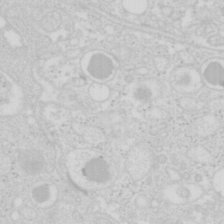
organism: Mouse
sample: Pancreas